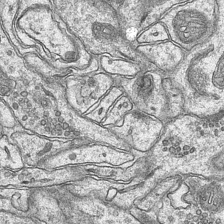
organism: Mouse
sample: CA1 Hippocampus